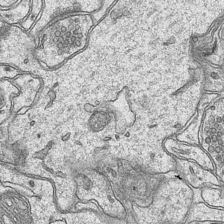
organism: Mouse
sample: CA1 Hippocampus